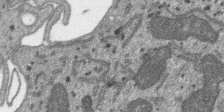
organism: Human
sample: Lung epithelial cells infected with SARS-CoV-2